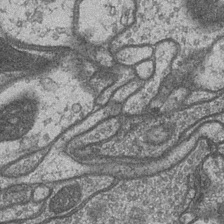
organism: Drosophila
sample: Optic medulla